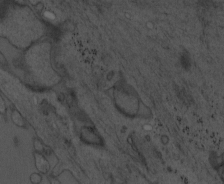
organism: Mouse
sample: OT-I killer T cells with ID8 ovarian cancer cells